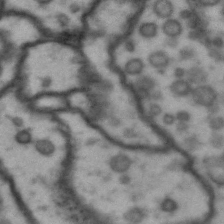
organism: Drosophila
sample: Brain